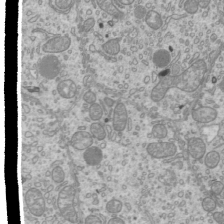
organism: Mouse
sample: Cilia; mouse epididymis